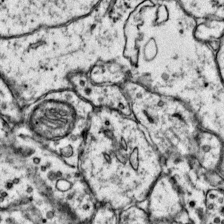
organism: Mouse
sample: Primary visual cortex